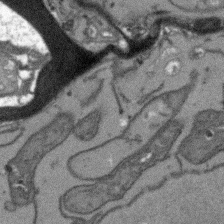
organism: Arabidopsis thaliana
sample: Root tip